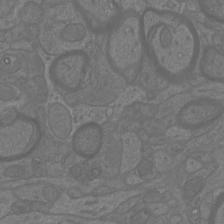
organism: Mouse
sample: Cortical neurons